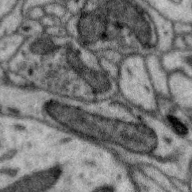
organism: Zebra finch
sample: Brain